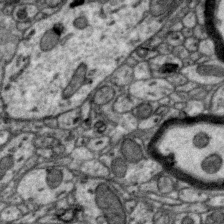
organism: Zebra finch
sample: Brain